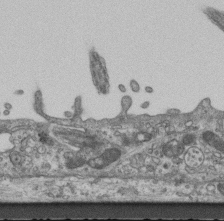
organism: Mouse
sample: Centriole in ependymal cells